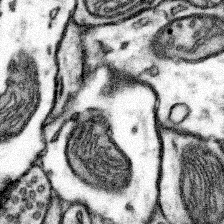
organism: Mouse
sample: Somatosensory cortex neuropil